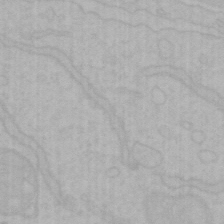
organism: Mouse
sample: Choroid plexus